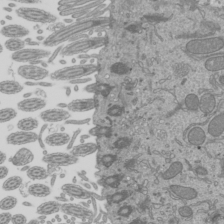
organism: Mouse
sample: Cilia; mouse epididymis